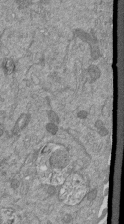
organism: Mouse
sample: ED-1 cell nuclei; centrioles